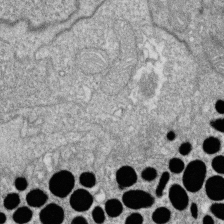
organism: Zebrafish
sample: Cilia; retinal pigment epithelium